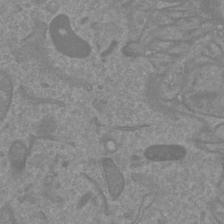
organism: Mouse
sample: Cortical neurons